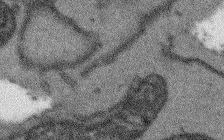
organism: Arabidopsis thaliana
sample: Root tip